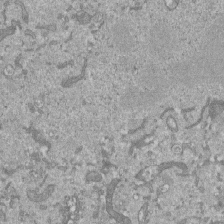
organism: Mouse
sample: ED-1 cell nuclei; centrioles